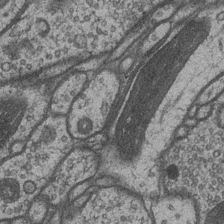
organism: Drosophila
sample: Optic medulla